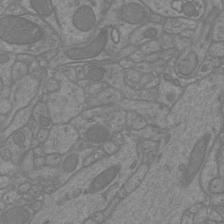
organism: Mouse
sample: Cortical neurons